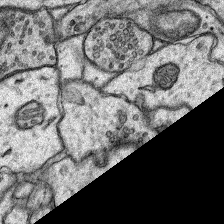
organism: Rat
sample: Hippocampus